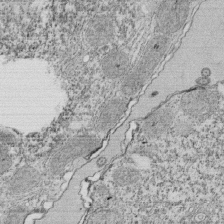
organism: Tetrahymena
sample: Cilia in tetrahymena